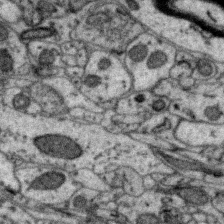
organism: Zebra finch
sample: Brain